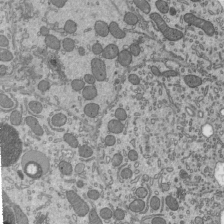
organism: Mouse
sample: Mouse epididymis efferent ductule cilia